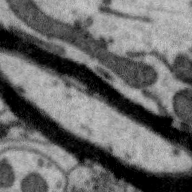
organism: Zebra finch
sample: Brain